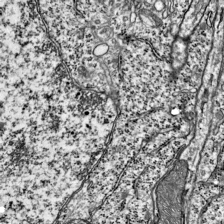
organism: Mouse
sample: Visual Cortex